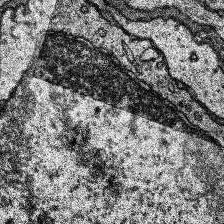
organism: Human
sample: Temporal Lobe